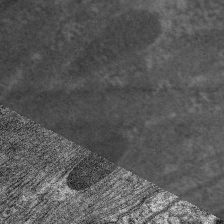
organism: C. elegans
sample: Pharynx